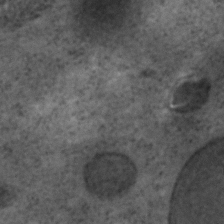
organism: C. elegans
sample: C. elegans embryo